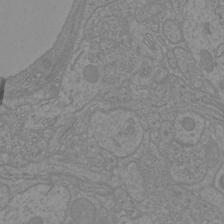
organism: Mouse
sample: Cortical neurons